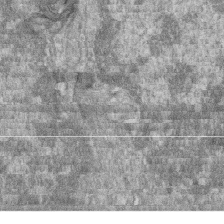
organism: Zebrafish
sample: Cilia; retinal pigment epithelium